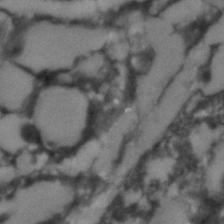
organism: C. elegans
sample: C. elegans embryo